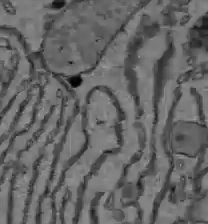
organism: C57BL Mouse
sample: Liver